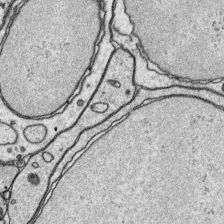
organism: Platynereis dumerilii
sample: Parapodia